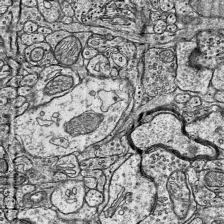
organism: Mouse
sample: Visual Cortex